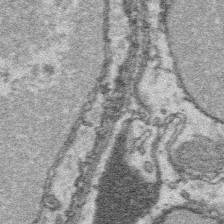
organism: Platynereis dumerilii